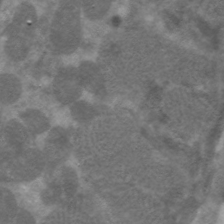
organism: C. elegans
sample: Pharynx